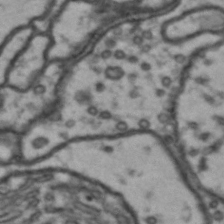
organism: Drosophila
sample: Brain